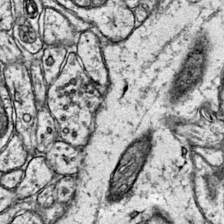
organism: Mouse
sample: Primary visual cortex